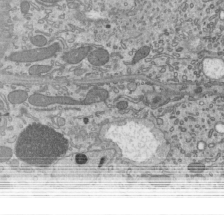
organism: Mouse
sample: Mouse epididymis efferent ductule cilia